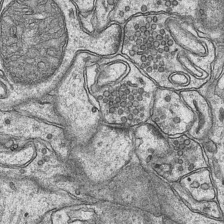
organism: Mouse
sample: CA1 Hippocampus